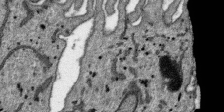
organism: Human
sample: Lung epithelial cells, uninfected (mock) control